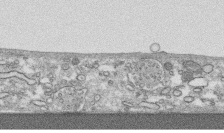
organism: Human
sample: CRL-1474